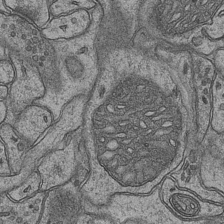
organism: Mouse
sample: CA1 Hippocampus